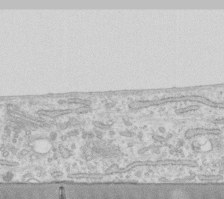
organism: Human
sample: Fibroblast cells